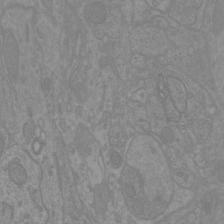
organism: Mouse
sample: Cortical neurons